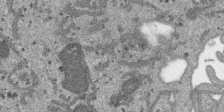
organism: Human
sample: Lung epithelial cells infected with SARS-CoV-2